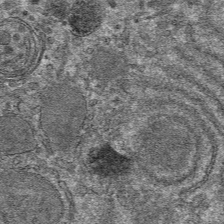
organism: Mouse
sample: Mouse hepatocytes